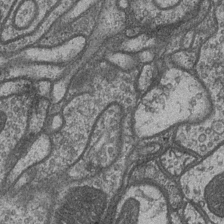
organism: Drosophila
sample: Optic medulla